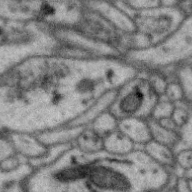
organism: Zebra finch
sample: Brain